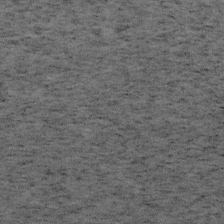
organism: Mouse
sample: OT-I killer T cells with ID8 ovarian cancer cells